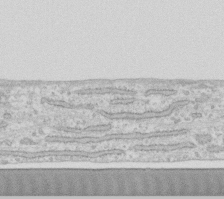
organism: Human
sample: Fibroblast cells